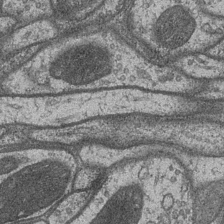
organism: Drosophila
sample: Optic medulla